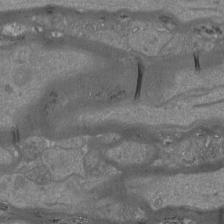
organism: Mouse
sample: Cortical neurons